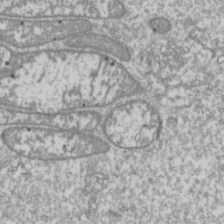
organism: Drosophila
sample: Cell division; meiosis; drosophila spermatocytes